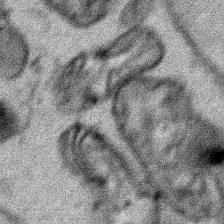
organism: Human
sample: Mitochondria in HCT116 cells